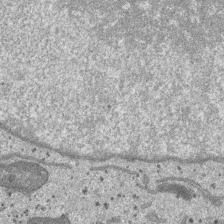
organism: Human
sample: Lung epithelial cells infected with SARS-CoV-2